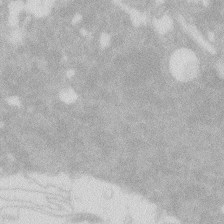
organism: Zebrafish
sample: Macrophage